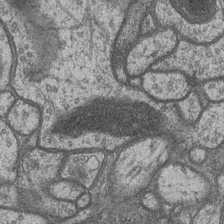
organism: Drosophila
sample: Optic medulla